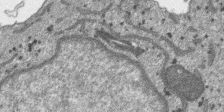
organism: Human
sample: Lung epithelial cells infected with SARS-CoV-2